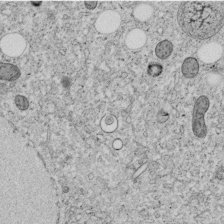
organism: C. elegans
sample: C. elegans embryo early stage